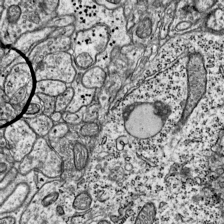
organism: Mouse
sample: Visual Cortex